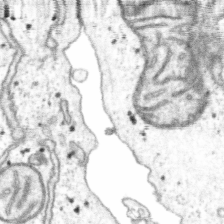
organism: Human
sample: HeLa cells